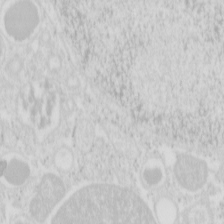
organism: Mouse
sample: Pancreas